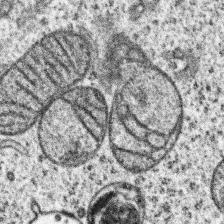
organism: Human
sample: HeLa cells